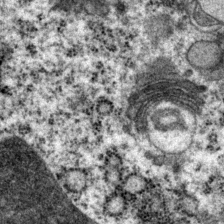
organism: P. pacificus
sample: Pharynx